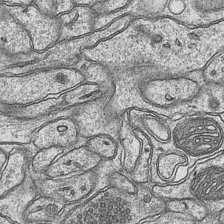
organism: Mouse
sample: CA1 Hippocampus